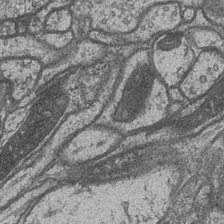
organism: Drosophila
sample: Optic medulla